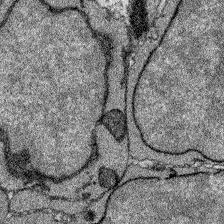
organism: Zebrafish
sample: Larval olfactory bulb